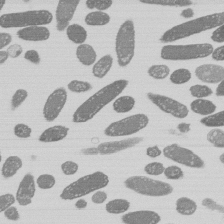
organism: E. coli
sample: Bacterial nucleoid